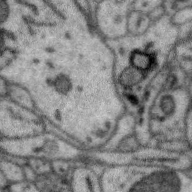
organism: Zebra finch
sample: Brain